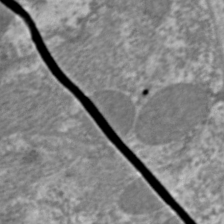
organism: C. elegans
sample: Pharynx